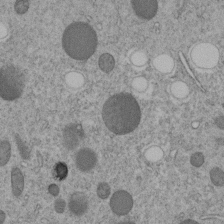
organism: C. elegans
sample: C. elegans embryo early stage